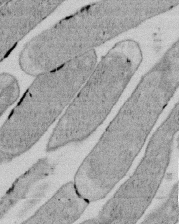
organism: E. coli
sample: Bacterial nucleoid